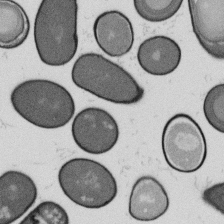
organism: B. subtilis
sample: Bacterial spore